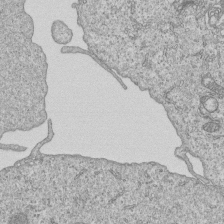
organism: Human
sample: MDA-MB-231 cells